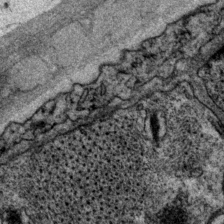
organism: P. pacificus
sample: Pharynx